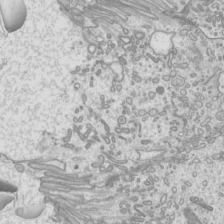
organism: Mouse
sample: Cilia; mouse epididymis